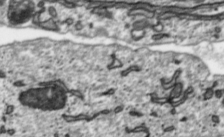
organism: Toxoplasma gondii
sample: Parasites in a vacuole inside a host cell